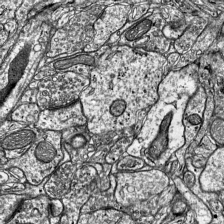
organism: Mouse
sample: Visual Cortex